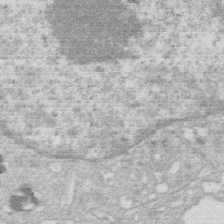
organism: Human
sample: Macrophage cells